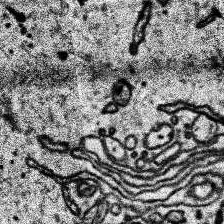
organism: Human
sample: Temporal Lobe